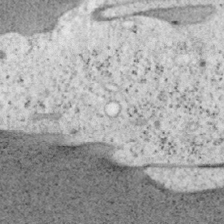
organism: Mouse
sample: OT-I killer T cells with ID8 ovarian cancer cells